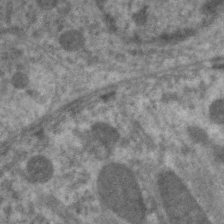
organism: C. elegans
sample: Pharynx